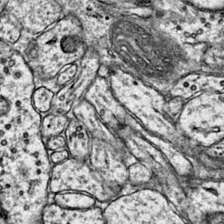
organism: Mouse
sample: Primary visual cortex